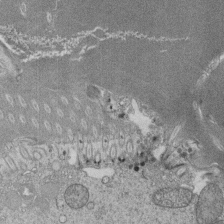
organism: Tetrahymena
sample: Cilia in tetrahymena